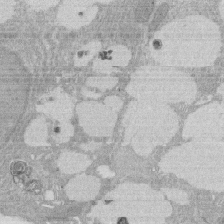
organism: Rat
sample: Salivary granule